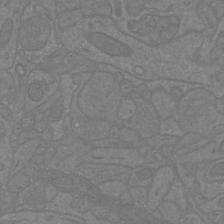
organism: Mouse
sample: Cortical neurons